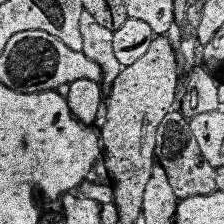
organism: Human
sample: Temporal Lobe